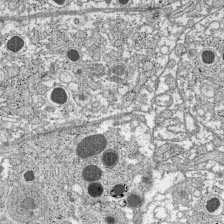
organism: C57BL Mouse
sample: Pancreatic islet